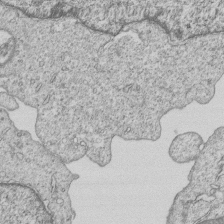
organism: Human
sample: MDA-MB-231 cells